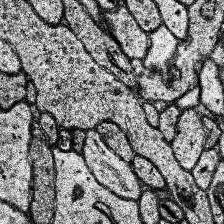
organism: Human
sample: Temporal Lobe